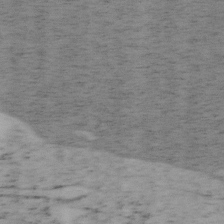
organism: Mouse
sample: OT-I killer T cells with ID8 ovarian cancer cells